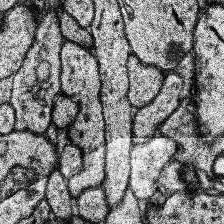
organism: Human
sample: Temporal Lobe